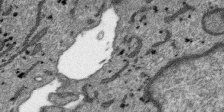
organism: Human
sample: Lung epithelial cells, uninfected (mock) control